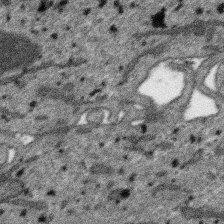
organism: Human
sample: Lung epithelial cells infected with SARS-CoV-2